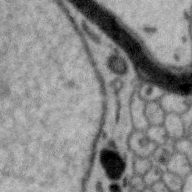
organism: Zebra finch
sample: Brain